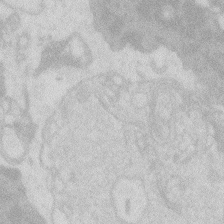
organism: Zebrafish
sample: Macrophage